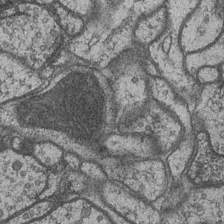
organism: Drosophila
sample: Optic medulla